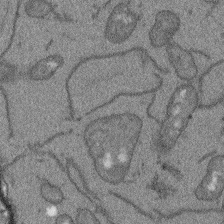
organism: Arabidopsis thaliana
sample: Root tip